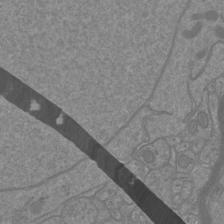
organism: Mouse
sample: Cortical neurons